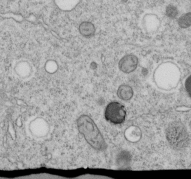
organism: C. elegans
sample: C. elegans embryo early stage